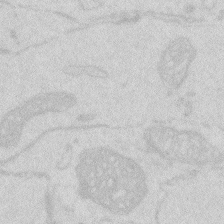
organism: Zebrafish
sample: Macrophage